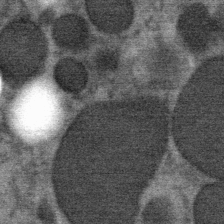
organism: Mouse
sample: Mouse Salivary gland